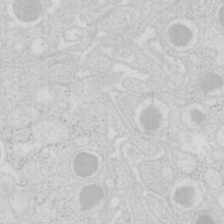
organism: Mouse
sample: Pancreas